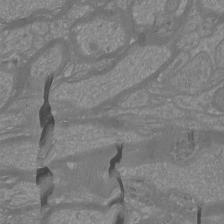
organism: Mouse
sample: Cortical neurons